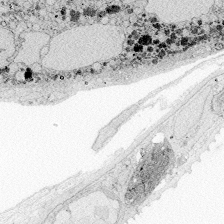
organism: Zebrafish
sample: Whole-Brain